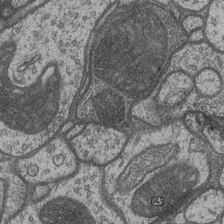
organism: Drosophila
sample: Optic medulla